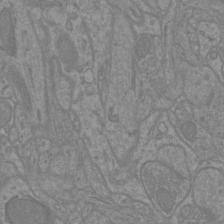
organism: Mouse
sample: Cortical neurons